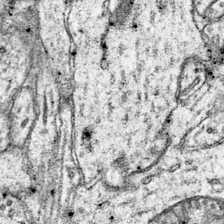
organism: Mouse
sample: Primary visual cortex